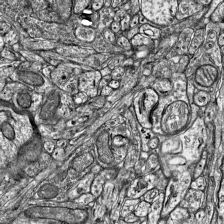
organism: Mouse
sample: Visual Cortex